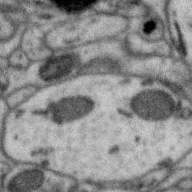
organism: Zebra finch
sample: Brain